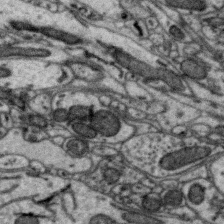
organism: Zebra finch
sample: Brain